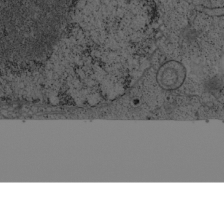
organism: African green monkey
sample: COS-7 cells